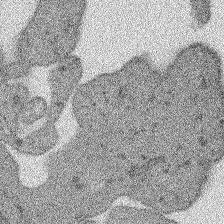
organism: Human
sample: HeLa cells